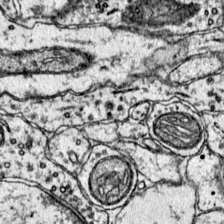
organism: Mouse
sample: Primary visual cortex